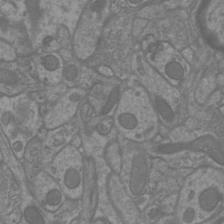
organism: Mouse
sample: Cortical neurons